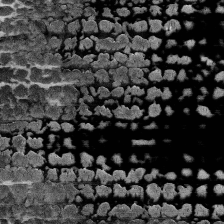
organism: Human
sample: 1205lu cells